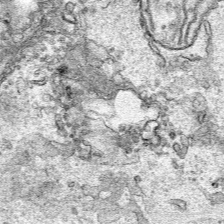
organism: Human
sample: Mitochondria in HCT116 cells